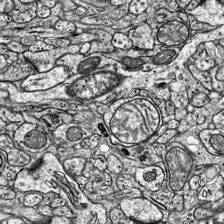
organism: Mouse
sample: Visual Cortex